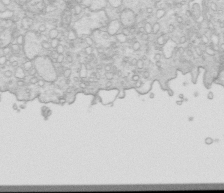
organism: Mouse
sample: Multiciliated cells